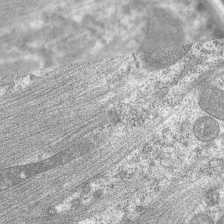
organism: C. elegans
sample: Pharynx